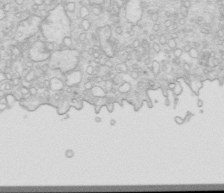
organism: Mouse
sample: Multiciliated cells